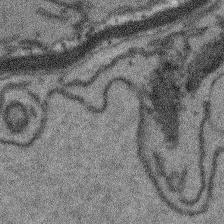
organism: Arabidopsis thaliana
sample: Root tip